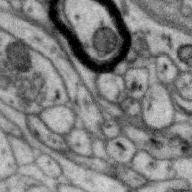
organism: Zebra finch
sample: Brain